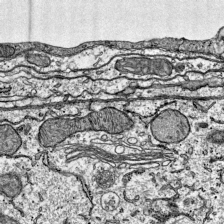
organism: Mouse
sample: Visual Cortex